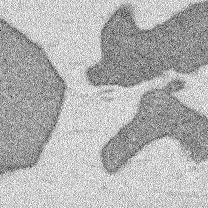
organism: Human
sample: HeLa cells